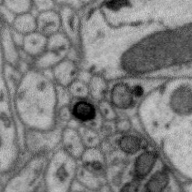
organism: Zebra finch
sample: Brain